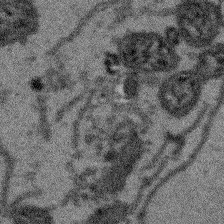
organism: Arabidopsis thaliana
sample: Root tip